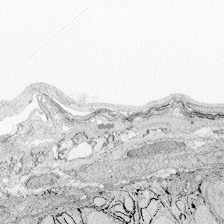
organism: Zebrafish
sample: Whole-Brain